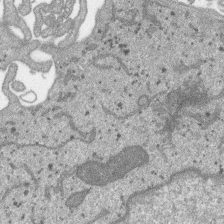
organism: Human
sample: Lung epithelial cells infected with SARS-CoV-2